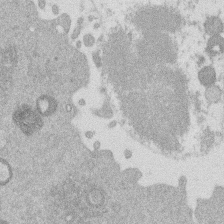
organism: Mouse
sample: Dividing mouse embryo 1 cell stage